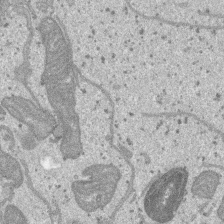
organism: Human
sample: Lung epithelial cells infected with SARS-CoV-2